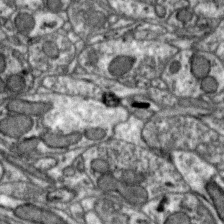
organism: Zebra finch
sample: Brain